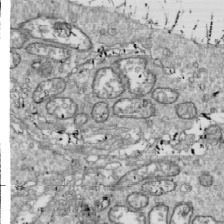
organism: Drosophila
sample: Cell division; meiosis; drosophila spermatocytes